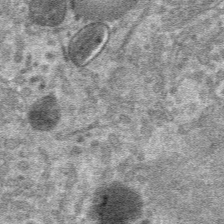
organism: Mouse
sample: Mouse hepatocytes